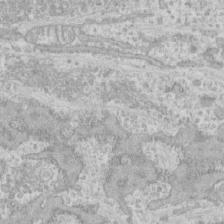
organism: Human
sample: CRL-1474